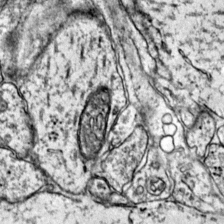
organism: Mouse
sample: Primary visual cortex